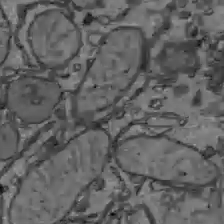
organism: C57BL Mouse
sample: Liver